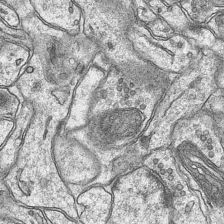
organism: Mouse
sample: CA1 Hippocampus